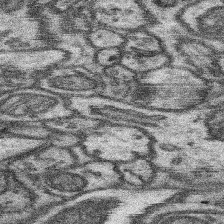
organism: Mouse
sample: Somatosensory cortex neuropil